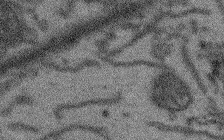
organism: Arabidopsis thaliana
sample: Root tip